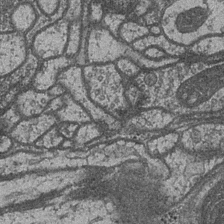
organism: Drosophila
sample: Optic medulla